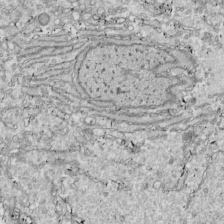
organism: Drosophila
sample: Cell division; meiosis; drosophila spermatocytes